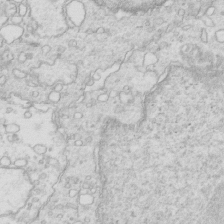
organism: Mouse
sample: Multiciliated cells